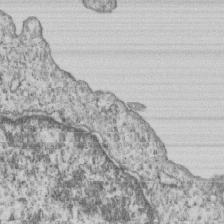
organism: Human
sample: MDA-MB-231 cells